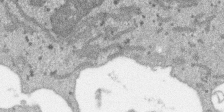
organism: Human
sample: Lung epithelial cells infected with SARS-CoV-2